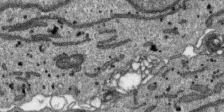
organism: Human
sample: Lung epithelial cells, uninfected (mock) control